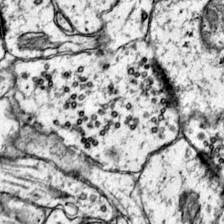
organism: Mouse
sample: Primary visual cortex